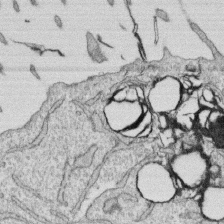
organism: Human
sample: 1205lu cells